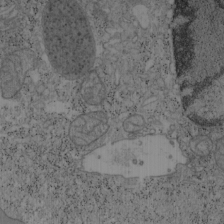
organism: Mouse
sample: OT-I killer T cells with ID8 ovarian cancer cells